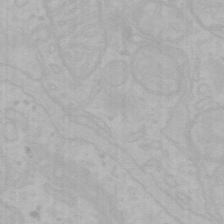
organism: Mouse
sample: Choroid plexus